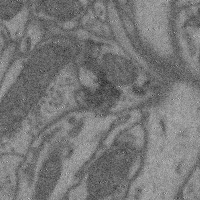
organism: Mouse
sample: Cerebral cortex